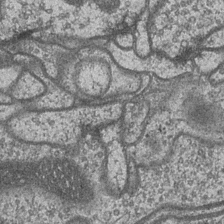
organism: Drosophila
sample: Optic medulla